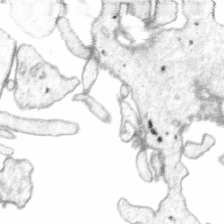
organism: Human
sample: HeLa cells